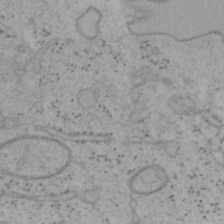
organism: Human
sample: HeLa cells